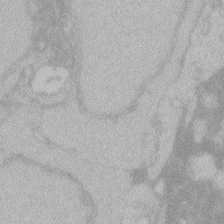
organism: Zebrafish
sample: Macrophage infected with Toxoplasma gondii